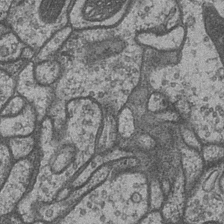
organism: Drosophila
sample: Optic medulla